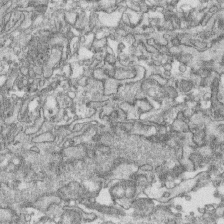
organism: Human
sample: CRL-1474